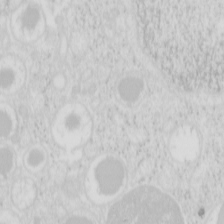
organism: Mouse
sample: Pancreas